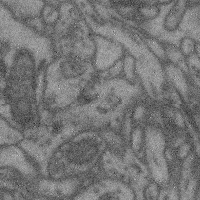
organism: Mouse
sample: Cerebral cortex